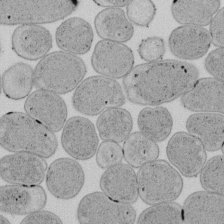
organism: E. coli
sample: Bacterial nucleoid